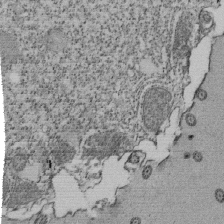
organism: Tetrahymena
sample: Cilia in tetrahymena